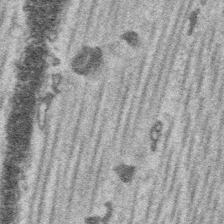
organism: Platynereis dumerilii